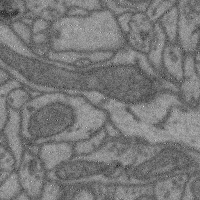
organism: Mouse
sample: Cerebral cortex